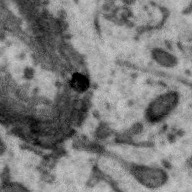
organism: Zebra finch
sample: Brain